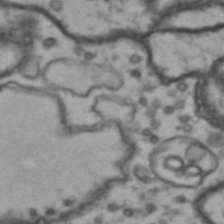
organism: Drosophila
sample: Brain